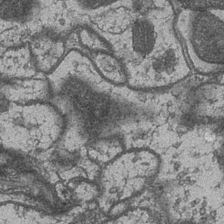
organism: Drosophila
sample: Optic medulla